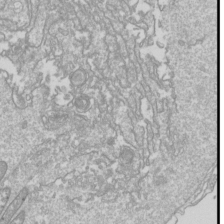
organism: Drosophila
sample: Cell division; meiosis; drosophila spermatocytes